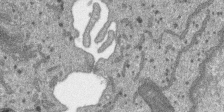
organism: Human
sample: Lung epithelial cells infected with SARS-CoV-2